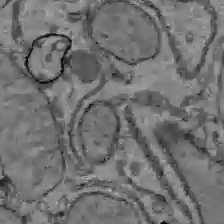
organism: C57BL Mouse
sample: Liver